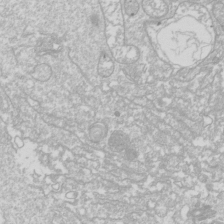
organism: Drosophila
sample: Cell division; meiosis; drosophila spermatocytes